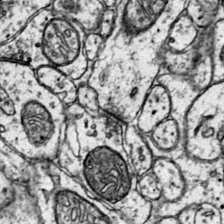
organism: Mouse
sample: Primary visual cortex